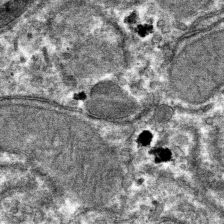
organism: Mouse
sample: Mouse hepatocytes